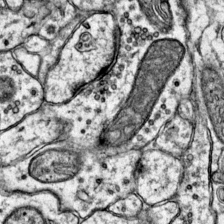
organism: Mouse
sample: Primary visual cortex